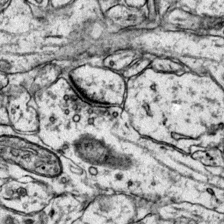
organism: Mouse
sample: Primary visual cortex